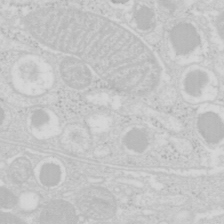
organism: Mouse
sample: Pancreas